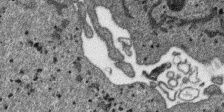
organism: Human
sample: Lung epithelial cells infected with SARS-CoV-2